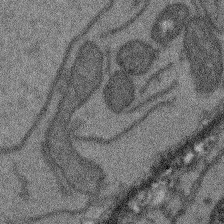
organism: Arabidopsis thaliana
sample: Root tip